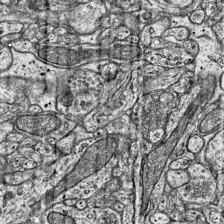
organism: Mouse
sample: Visual Cortex